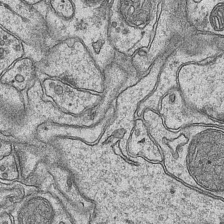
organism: Mouse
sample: CA1 Hippocampus